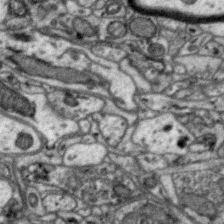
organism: Zebra finch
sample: Brain